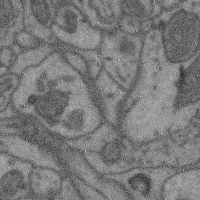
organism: Mouse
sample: Cerebral cortex